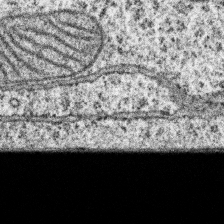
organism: Human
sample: HeLa cells